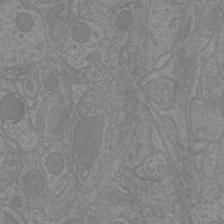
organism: Mouse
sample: Cortical neurons